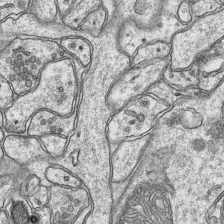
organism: Mouse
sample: CA1 Hippocampus